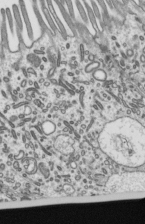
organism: Mouse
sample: Mouse epididymis efferent ductule cilia